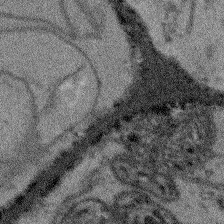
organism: Arabidopsis thaliana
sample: Root tip